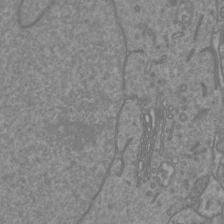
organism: Mouse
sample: Cortical neurons